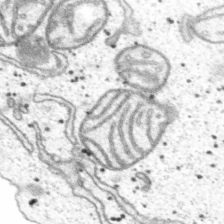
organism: Human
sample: HeLa cells